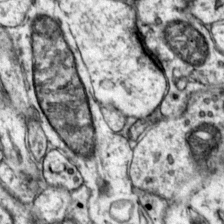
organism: Mouse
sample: Primary visual cortex